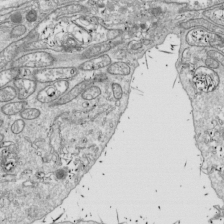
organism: Drosophila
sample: Cell division; meiosis; drosophila spermatocytes